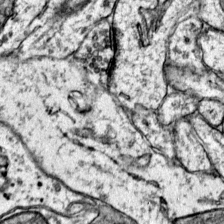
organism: Mouse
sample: Primary visual cortex